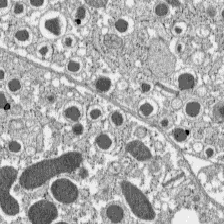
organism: C57BL Mouse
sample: Pancreatic islet